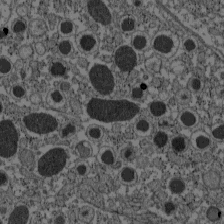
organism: C57BL Mouse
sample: Pancreatic islet